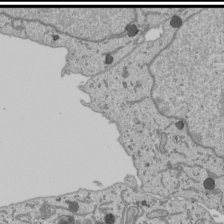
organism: Human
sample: Mitochondria in U2OS cells